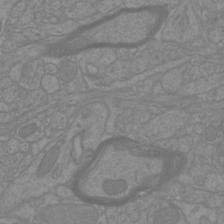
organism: Mouse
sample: Cortical neurons